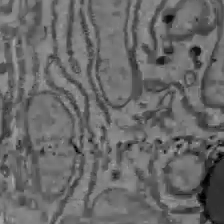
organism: C57BL Mouse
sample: Liver